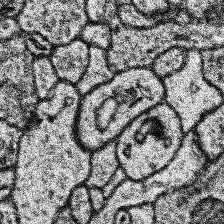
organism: Human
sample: Temporal Lobe